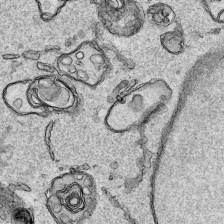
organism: Human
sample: Mitochondria in HCT116 cells